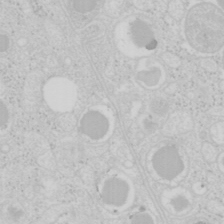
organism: Mouse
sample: Pancreas